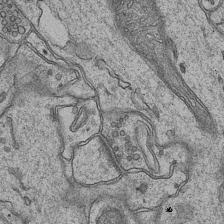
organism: Mouse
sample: CA1 Hippocampus